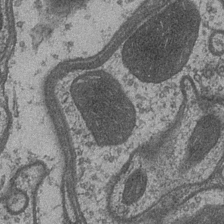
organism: Drosophila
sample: Optic medulla